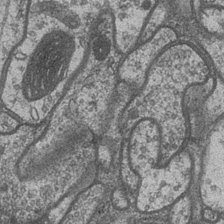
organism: Drosophila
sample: Optic medulla